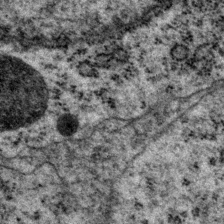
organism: P. pacificus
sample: Pharynx